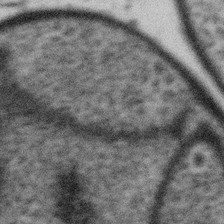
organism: Gemmata obscuriglobus